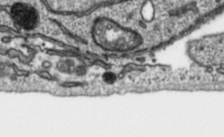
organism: Toxoplasma gondii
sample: Parasites in a vacuole inside a host cell